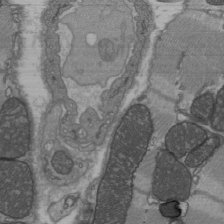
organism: C57BL Mouse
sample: Heart